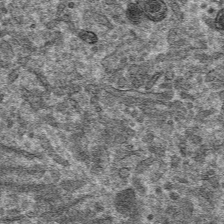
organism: Mouse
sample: Mouse hepatocytes